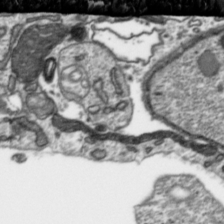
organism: Toxoplasma gondii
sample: Parasites in a vacuole inside a host cell